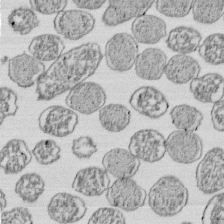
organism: E. coli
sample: Bacterial nucleoid